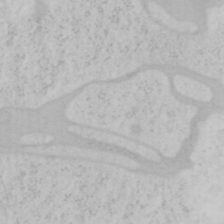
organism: Mouse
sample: OT-I killer T cells with ID8 ovarian cancer cells